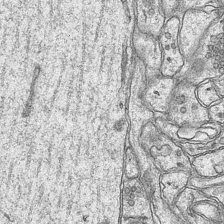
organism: Mouse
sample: CA1 Hippocampus